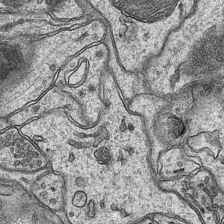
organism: Mouse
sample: CA1 Hippocampus